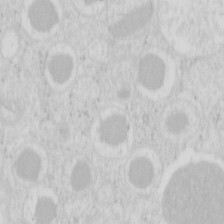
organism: Mouse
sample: Pancreas